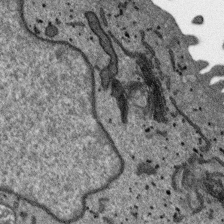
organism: Human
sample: Lung epithelial cells, uninfected (mock) control